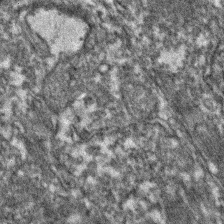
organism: Zebrafish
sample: Zebrafish embryo